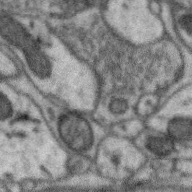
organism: Zebra finch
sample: Brain